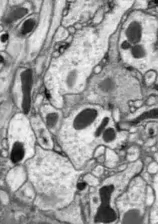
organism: Drosophila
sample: Optic lobe